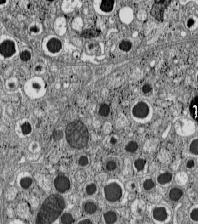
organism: C57BL Mouse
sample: Pancreatic islet